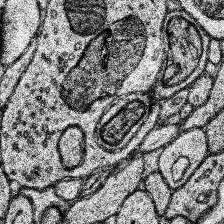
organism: Human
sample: Temporal Lobe